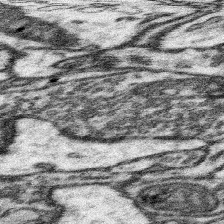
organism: Mouse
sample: Somatosensory cortex neuropil